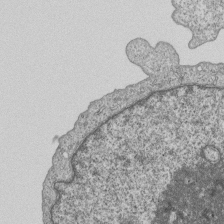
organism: Human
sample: MDA-MB-231 cells